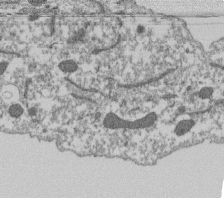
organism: Dictyostelium discoideum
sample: Dictyostelium multivesicular bodies